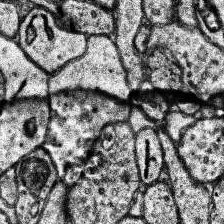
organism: Human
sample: Temporal Lobe